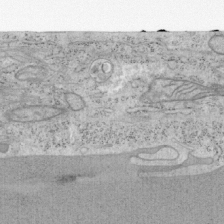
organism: Human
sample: HeLa cells